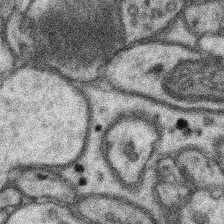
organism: Mouse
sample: Somatosensory cortex neuropil